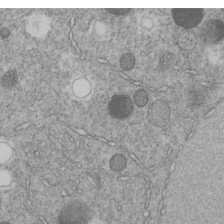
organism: C. elegans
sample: C. elegans embryo early stage